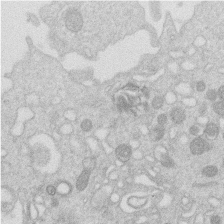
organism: Human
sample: Macrophage cells